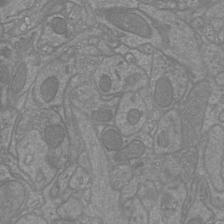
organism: Mouse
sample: Cortical neurons